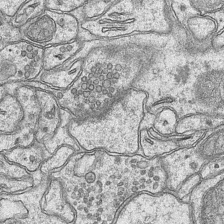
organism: Mouse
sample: CA1 Hippocampus